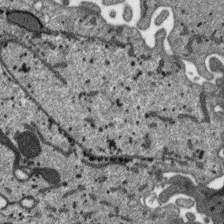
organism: Human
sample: Lung epithelial cells infected with SARS-CoV-2